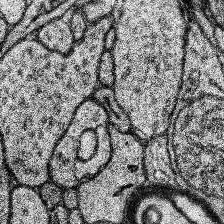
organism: Human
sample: Temporal Lobe